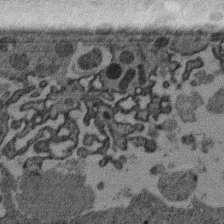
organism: Mouse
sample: Dividing mouse embryo 1 cell stage